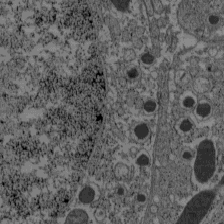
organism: C57BL Mouse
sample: Pancreatic islet